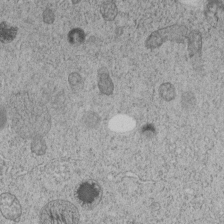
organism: C. elegans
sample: C. elegans embryo early stage